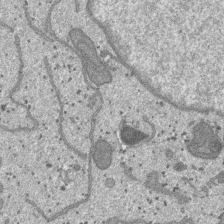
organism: Human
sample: Lung epithelial cells infected with SARS-CoV-2